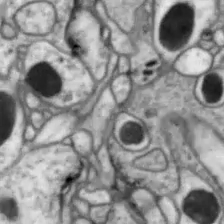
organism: Drosophila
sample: Optic lobe